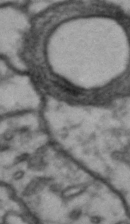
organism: Drosophila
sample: Brain